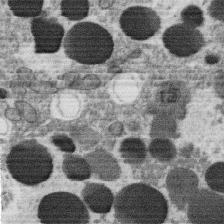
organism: C. elegans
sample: C. elegans oocyte; sperm cells